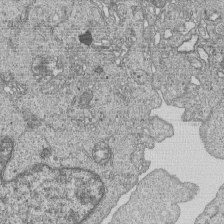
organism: Human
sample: MDA-MB-231 cells